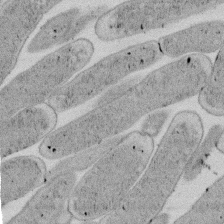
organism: E. coli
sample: Bacterial nucleoid